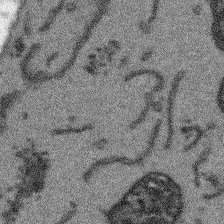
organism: Arabidopsis thaliana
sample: Root tip